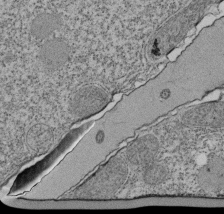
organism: Tetrahymena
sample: Cilia in tetrahymena